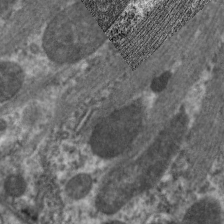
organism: C. elegans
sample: Pharynx